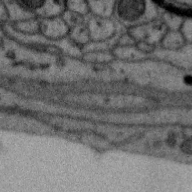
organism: Zebra finch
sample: Brain